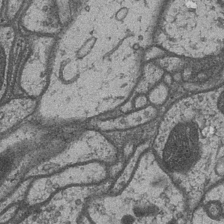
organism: Drosophila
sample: Optic medulla